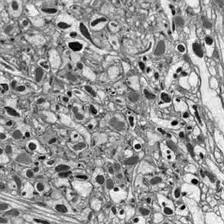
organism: Drosophila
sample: Optic lobe